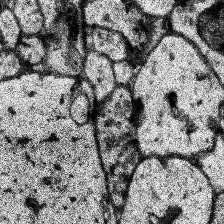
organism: Human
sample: Temporal Lobe